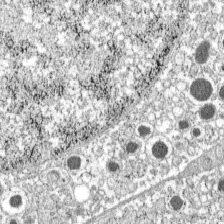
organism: C57BL Mouse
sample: Pancreatic islet